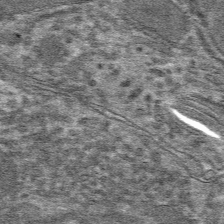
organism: Mouse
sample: Mouse hepatocytes